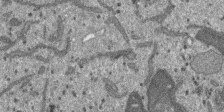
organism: Human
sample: Lung epithelial cells infected with SARS-CoV-2